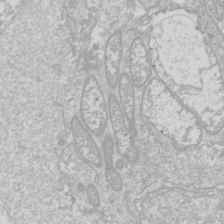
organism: Drosophila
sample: Cell division; meiosis; drosophila spermatocytes